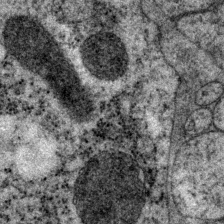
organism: P. pacificus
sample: Pharynx